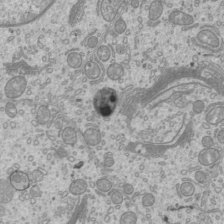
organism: Mouse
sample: Cilia; mouse epididymis